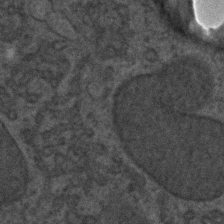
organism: C. elegans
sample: C. elegans embryo